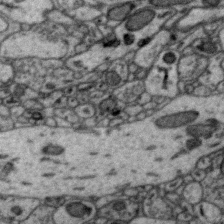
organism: Zebra finch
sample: Brain